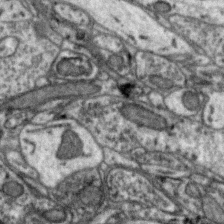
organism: Zebra finch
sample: Brain